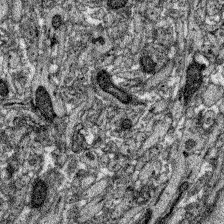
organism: Zebrafish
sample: Larval olfactory bulb